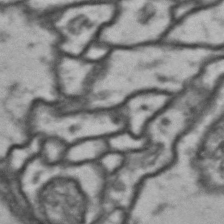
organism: Drosophila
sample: Brain